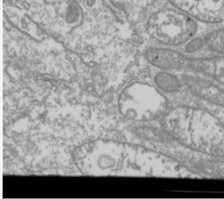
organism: Drosophila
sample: Cell division; meiosis; drosophila spermatocytes